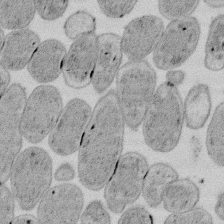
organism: E. coli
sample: Bacterial nucleoid